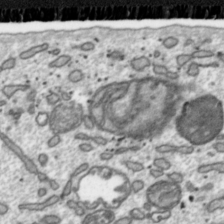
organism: Toxoplasma gondii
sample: Parasites in a vacuole inside a host cell